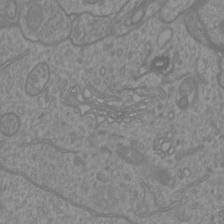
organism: Mouse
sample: Cortical neurons